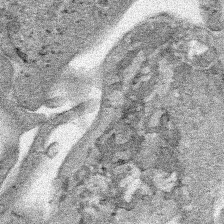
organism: Human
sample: Mitochondria in HCT116 cells